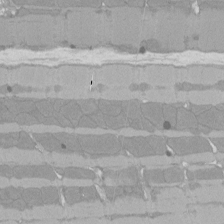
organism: Rat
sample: Left ventricle